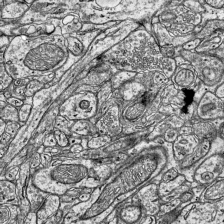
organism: Mouse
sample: Visual Cortex